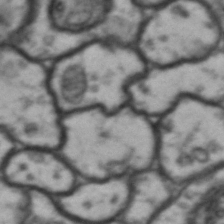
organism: Drosophila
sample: Brain